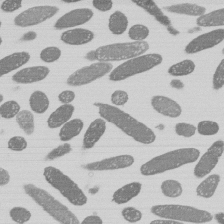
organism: E. coli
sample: Bacterial nucleoid